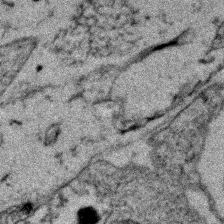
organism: Zebrafish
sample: Zebrafish embryo